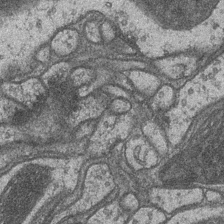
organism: Drosophila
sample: Optic medulla